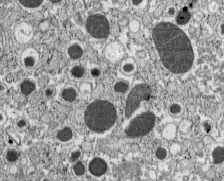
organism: C57BL Mouse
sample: Pancreatic islet